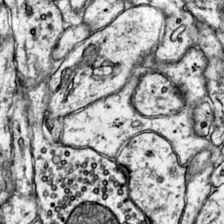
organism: Mouse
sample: Primary visual cortex